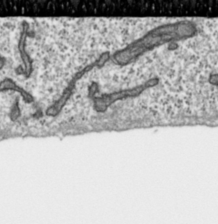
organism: Toxoplasma gondii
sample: Parasites in a vacuole inside a host cell